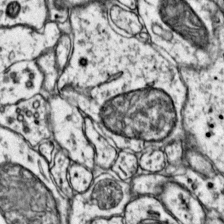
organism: Mouse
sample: Primary visual cortex